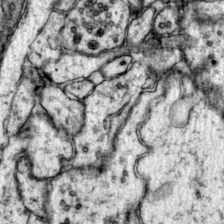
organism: Mouse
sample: Primary visual cortex